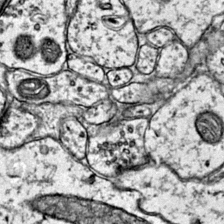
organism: Mouse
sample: Primary visual cortex